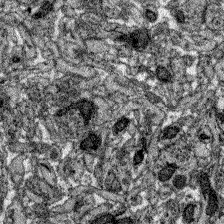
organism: Zebrafish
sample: Larval olfactory bulb